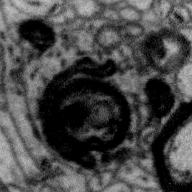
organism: Zebra finch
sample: Brain